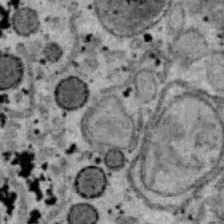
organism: Mouse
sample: Liver from an obese (ob/ob) mouse